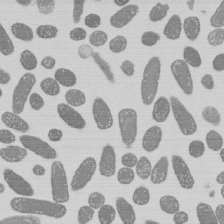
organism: E. coli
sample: Bacterial nucleoid